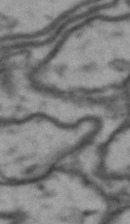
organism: Drosophila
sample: Brain